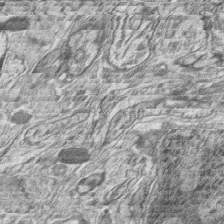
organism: Zebrafish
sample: synaptic ribbons in rod cells and cone cells